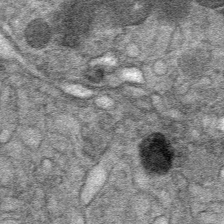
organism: Mouse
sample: Mouse Salivary gland